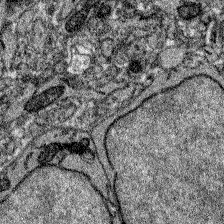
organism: Zebrafish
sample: Larval olfactory bulb